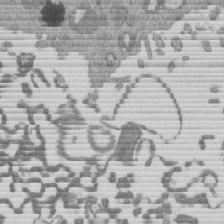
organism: Mouse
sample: Dividing mouse embryo 1 cell stage